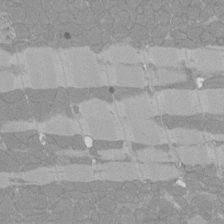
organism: Rat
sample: Left ventricle